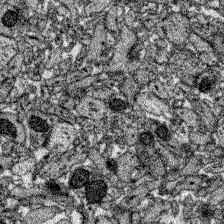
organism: Zebrafish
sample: Larval olfactory bulb